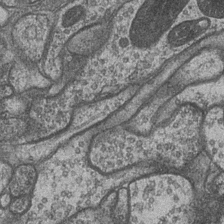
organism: Drosophila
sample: Optic medulla